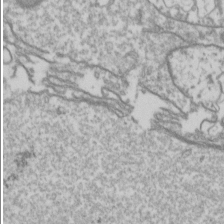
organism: Drosophila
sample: Cell division; meiosis; drosophila spermatocytes